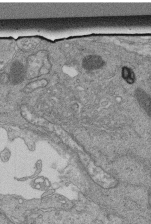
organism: Human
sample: Retinal organoid Rod and Cone cells